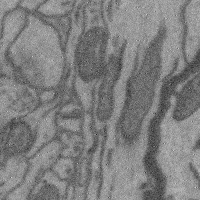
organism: Mouse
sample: Cerebral cortex